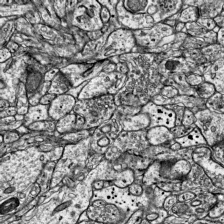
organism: Mouse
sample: Visual Cortex